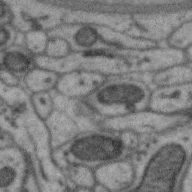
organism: Zebra finch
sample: Brain